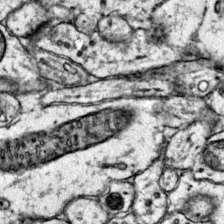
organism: Mouse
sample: Primary visual cortex